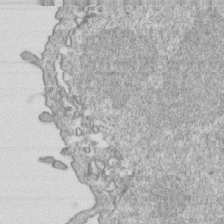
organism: Mouse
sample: Activated OT-1 CD8+ T cells